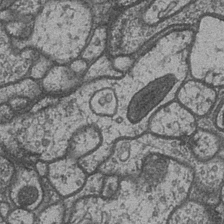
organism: Drosophila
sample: Optic medulla